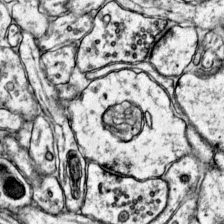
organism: Mouse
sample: Primary visual cortex